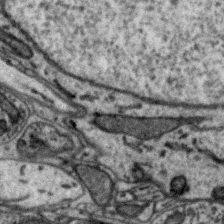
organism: Zebra finch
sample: Brain